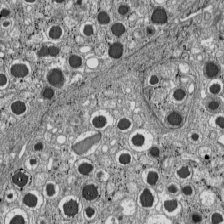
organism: C57BL Mouse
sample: Pancreatic islet